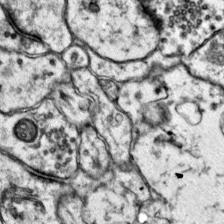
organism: Mouse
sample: Primary visual cortex